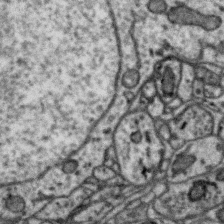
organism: Zebra finch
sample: Brain